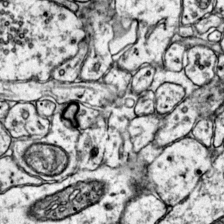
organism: Mouse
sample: Primary visual cortex